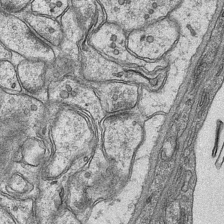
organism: Mouse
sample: CA1 Hippocampus